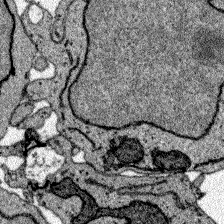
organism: Zebrafish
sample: Larval olfactory bulb